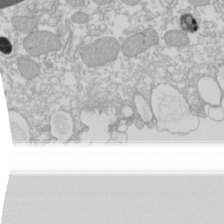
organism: Xenopus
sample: Cilia; centrioles in frog embryo cells